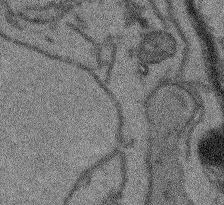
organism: Arabidopsis thaliana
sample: Root tip